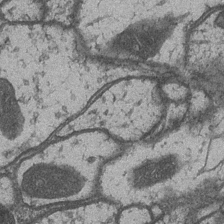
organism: Drosophila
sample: Optic medulla